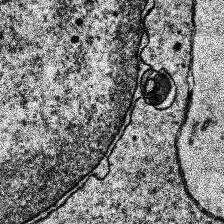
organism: Human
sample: Temporal Lobe